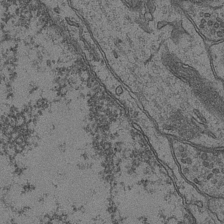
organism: Mouse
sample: CA1 Hippocampus